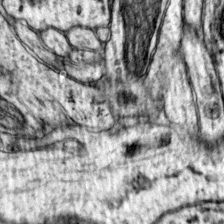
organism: Mouse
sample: Primary visual cortex